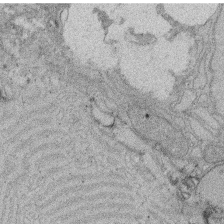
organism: Rat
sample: Salivary granule